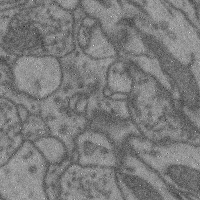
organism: Mouse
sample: Cerebral cortex